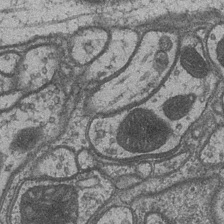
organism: Drosophila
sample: Optic medulla